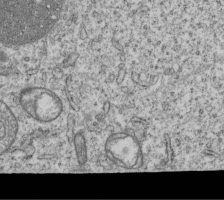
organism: Human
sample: MDA-MB-231 cells